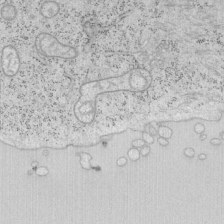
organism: Mouse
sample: OT-I killer T cells with ID8 ovarian cancer cells